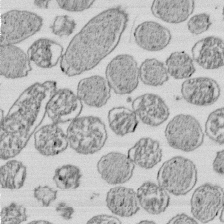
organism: E. coli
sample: Bacterial nucleoid